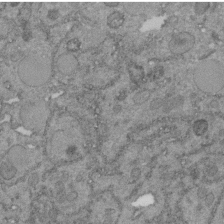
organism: C. elegans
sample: C. elegans embryo early stage